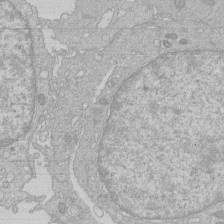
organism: Human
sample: Macrophage cells